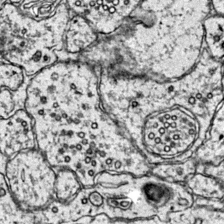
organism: Mouse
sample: Primary visual cortex